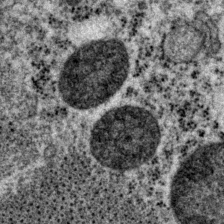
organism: P. pacificus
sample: Pharynx